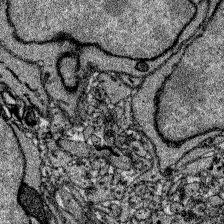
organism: Zebrafish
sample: Larval olfactory bulb